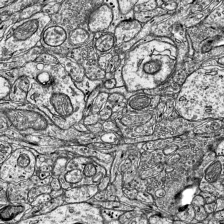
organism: Mouse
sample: Visual Cortex